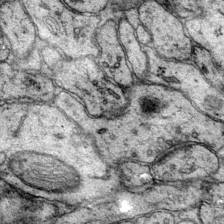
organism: Mouse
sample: Primary visual cortex